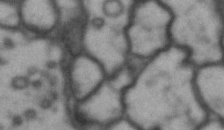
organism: Drosophila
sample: Brain